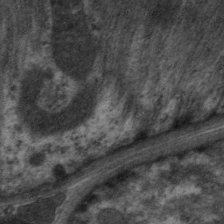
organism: C. elegans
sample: Pharynx